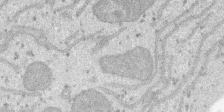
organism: Human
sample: Lung epithelial cells infected with SARS-CoV-2